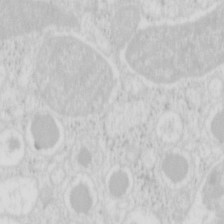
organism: Mouse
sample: Pancreas